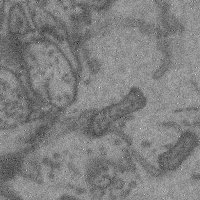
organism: Mouse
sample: Cerebral cortex